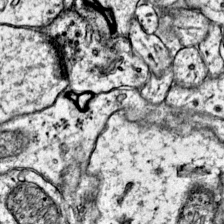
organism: Mouse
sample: Primary visual cortex